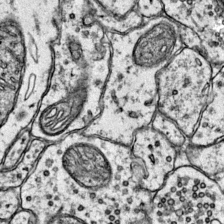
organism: Mouse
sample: Primary visual cortex